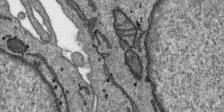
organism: Human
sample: Lung epithelial cells, uninfected (mock) control